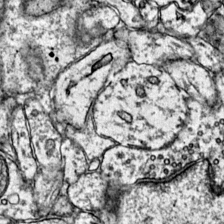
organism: Mouse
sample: Primary visual cortex